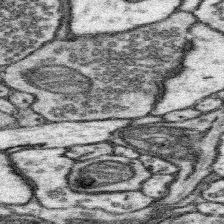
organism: Mouse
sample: Somatosensory cortex neuropil